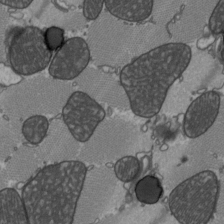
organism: C57BL Mouse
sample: Heart